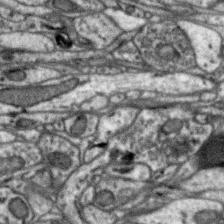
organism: Zebra finch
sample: Brain